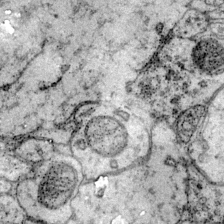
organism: Mouse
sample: Primary visual cortex